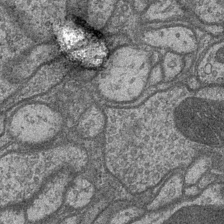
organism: Drosophila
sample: Optic medulla